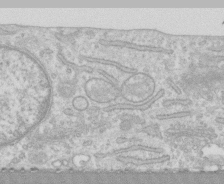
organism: Human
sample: CRL-1474